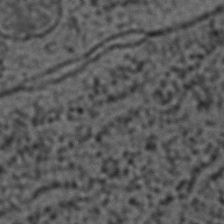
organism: C. elegans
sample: C. elegans embryo